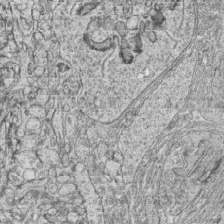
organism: Zebrafish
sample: synaptic ribbons in rod cells and cone cells